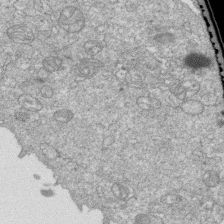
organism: Human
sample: HeLa cell HIV synapse